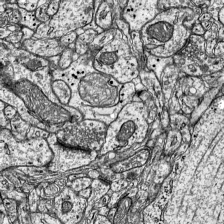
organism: Mouse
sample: Visual Cortex